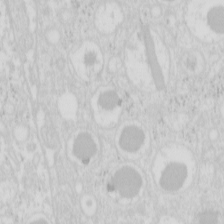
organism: Mouse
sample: Pancreas